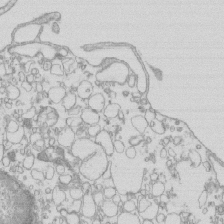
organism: Mouse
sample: Macrophages